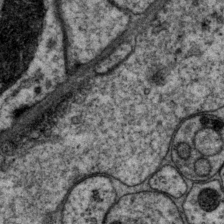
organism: P. pacificus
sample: Pharynx